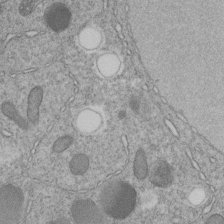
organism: C. elegans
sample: C. elegans embryo early stage